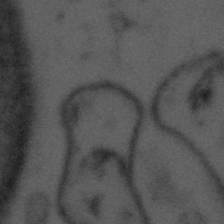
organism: Tuwongella immobilis